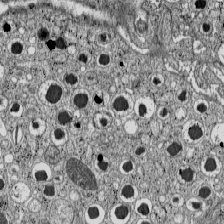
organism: C57BL Mouse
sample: Pancreatic islet